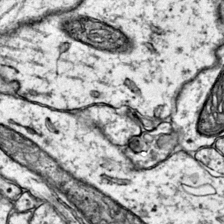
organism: Mouse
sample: Primary visual cortex